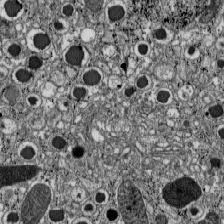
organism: C57BL Mouse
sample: Pancreatic islet